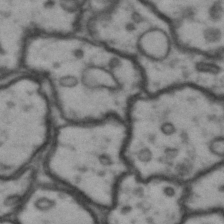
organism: Drosophila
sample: Brain